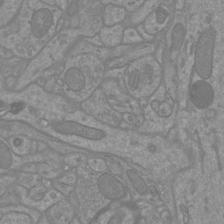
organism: Mouse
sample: Cortical neurons